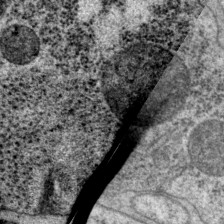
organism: P. pacificus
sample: Pharynx